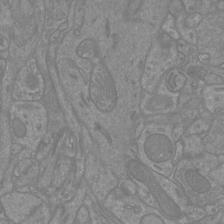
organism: Mouse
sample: Cortical neurons